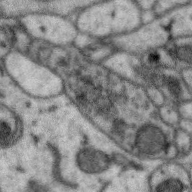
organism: Zebra finch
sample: Brain